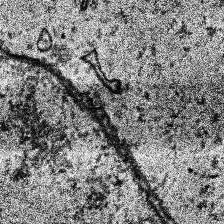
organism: Human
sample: Temporal Lobe